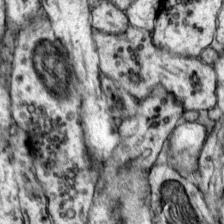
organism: Mouse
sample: Primary visual cortex